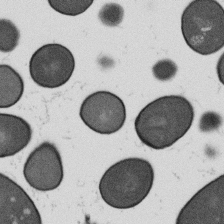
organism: B. subtilis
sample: Bacterial spore